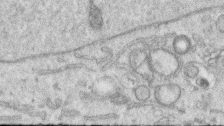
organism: Human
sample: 1205lu cells